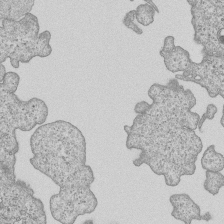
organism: Human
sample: MDA-MB-231 cells